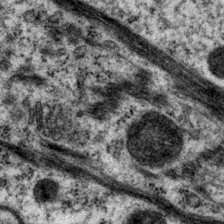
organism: P. pacificus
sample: Pharynx